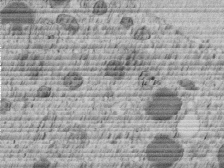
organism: C. elegans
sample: C. elegans embryo early stage